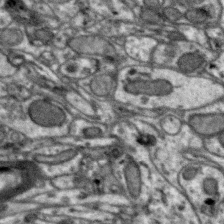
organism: Zebra finch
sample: Brain